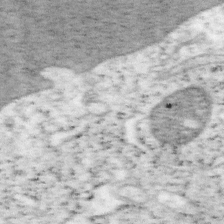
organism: Mouse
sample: OT-I killer T cells with ID8 ovarian cancer cells